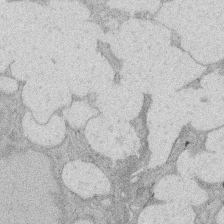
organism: Rat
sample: Salivary granule